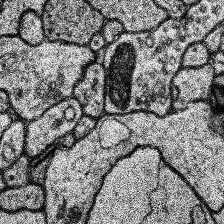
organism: Human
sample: Temporal Lobe